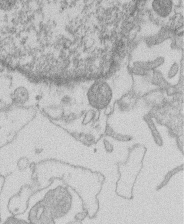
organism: Human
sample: Macrophage cells